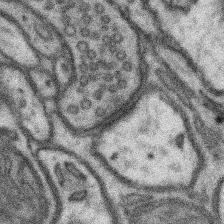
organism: Mouse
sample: Somatosensory cortex neuropil